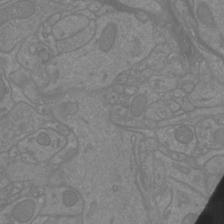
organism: Mouse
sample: Cortical neurons